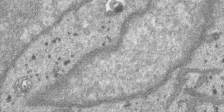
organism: Human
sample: Lung epithelial cells infected with SARS-CoV-2